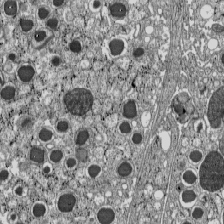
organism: C57BL Mouse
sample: Pancreatic islet